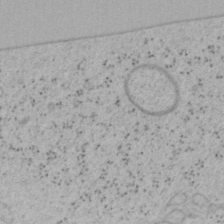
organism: Human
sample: HeLa cells